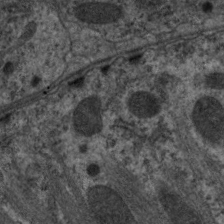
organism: C. elegans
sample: Pharynx